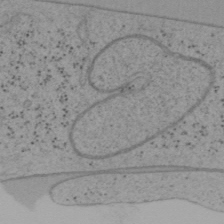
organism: Human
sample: HeLa cells